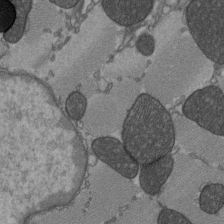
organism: C57BL Mouse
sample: Heart